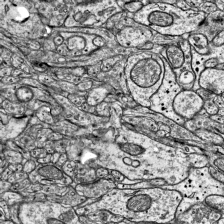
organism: Mouse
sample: Visual Cortex